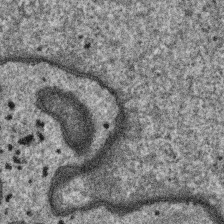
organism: Human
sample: Lung epithelial cells infected with SARS-CoV-2